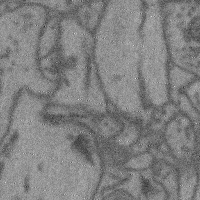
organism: Mouse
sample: Cerebral cortex